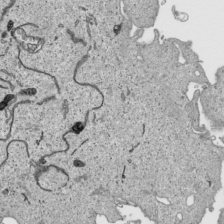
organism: Human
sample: Mitochondria in HCT116 cells